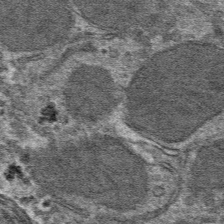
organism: Mouse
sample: Mouse hepatocytes